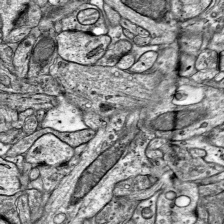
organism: Mouse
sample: Visual Cortex